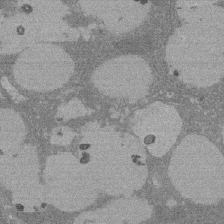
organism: Rat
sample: Salivary granule